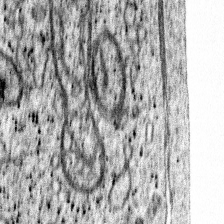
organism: Human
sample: HeLa cells